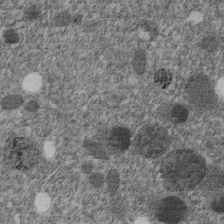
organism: C. elegans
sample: C. elegans embryo early stage